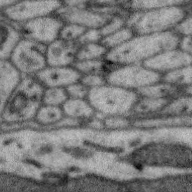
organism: Zebra finch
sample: Brain